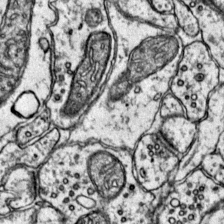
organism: Mouse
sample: Primary visual cortex